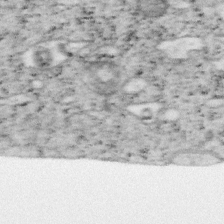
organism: Mouse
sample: OT-I killer T cells with ID8 ovarian cancer cells